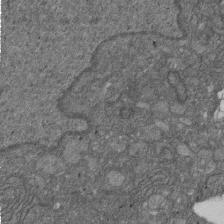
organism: Drosophila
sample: Nephrocyte